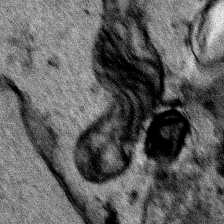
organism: Human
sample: Mitochondria in HCT116 cells